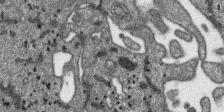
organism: Human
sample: Lung epithelial cells infected with SARS-CoV-2